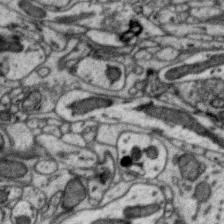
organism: Zebra finch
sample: Brain